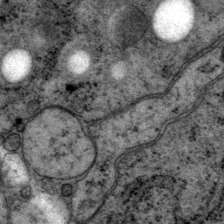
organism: P. pacificus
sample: Pharynx